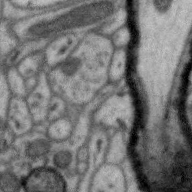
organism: Zebra finch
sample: Brain